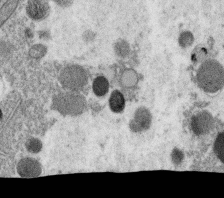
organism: C. elegans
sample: C. elegans oocyte; sperm cells